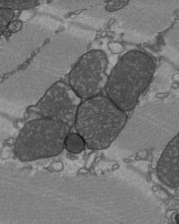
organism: C57BL Mouse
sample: Heart